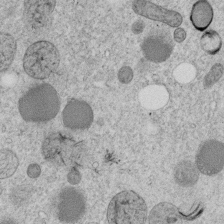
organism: C. elegans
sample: C. elegans embryo early stage